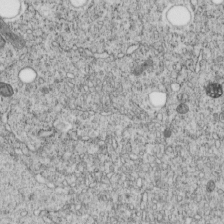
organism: C. elegans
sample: C. elegans embryo early stage